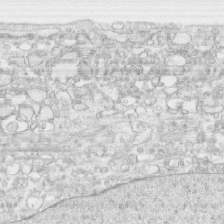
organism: Human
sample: CRL-1474